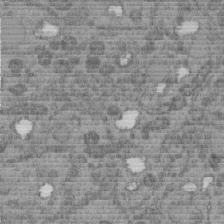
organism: C. elegans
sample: C. elegans embryo early stage